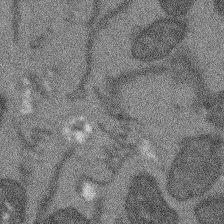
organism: Arabidopsis thaliana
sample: Root tip